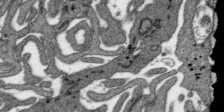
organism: Human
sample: Lung epithelial cells, uninfected (mock) control